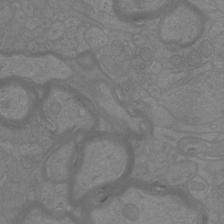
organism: Mouse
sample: Cortical neurons